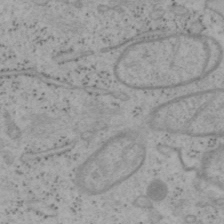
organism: Human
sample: HeLa cells